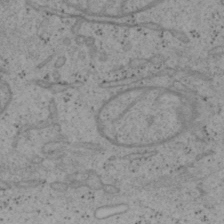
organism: Human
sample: HeLa cells